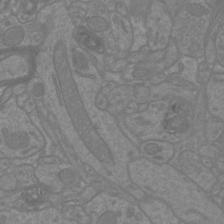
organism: Mouse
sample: Cortical neurons